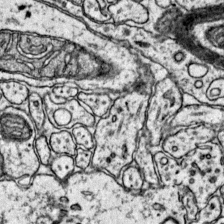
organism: Mouse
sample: Primary visual cortex